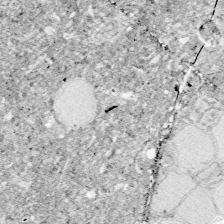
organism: Zebrafish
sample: Whole-Brain